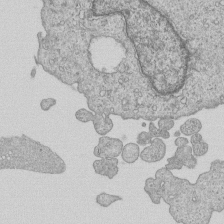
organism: Human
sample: MDA-MB-231 cells